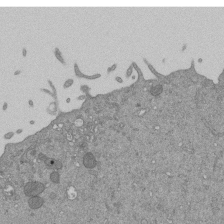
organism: Mouse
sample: ED-1 cell nuclei; centrioles